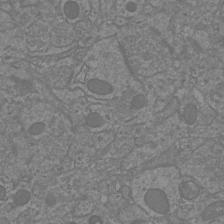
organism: Mouse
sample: Cortical neurons